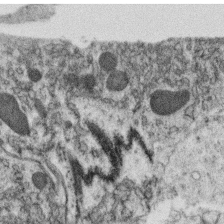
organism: C. elegans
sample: C. elegans oocyte; sperm cells